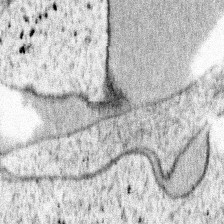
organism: Human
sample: HeLa cells